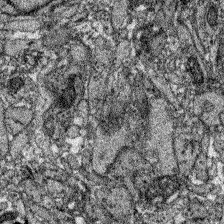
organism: Zebrafish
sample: Larval olfactory bulb